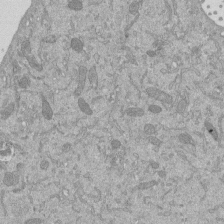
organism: Mouse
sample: ED-1 cell nuclei; centrioles